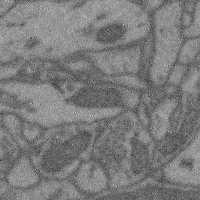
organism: Mouse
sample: Cerebral cortex